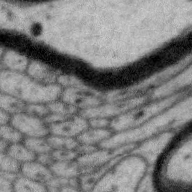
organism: Zebra finch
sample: Brain